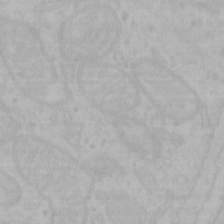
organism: Mouse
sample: Choroid plexus